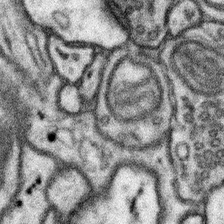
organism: Mouse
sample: Somatosensory cortex neuropil